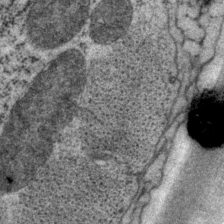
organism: P. pacificus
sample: Pharynx